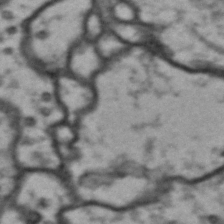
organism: Drosophila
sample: Brain